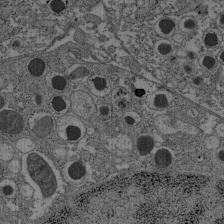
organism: C57BL Mouse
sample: Pancreatic islet